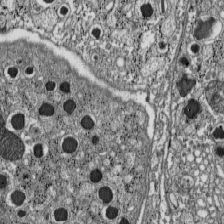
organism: C57BL Mouse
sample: Pancreatic islet